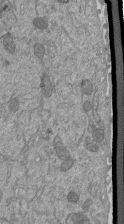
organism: Mouse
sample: ED-1 cell nuclei; centrioles